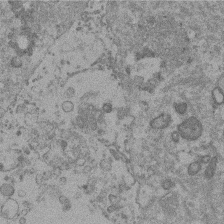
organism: Mouse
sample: Dividing mouse embryo 1 cell stage